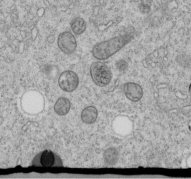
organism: C. elegans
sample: C. elegans embryo early stage